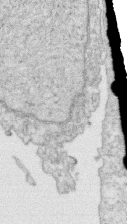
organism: Human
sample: HeLa cell HIV synapse